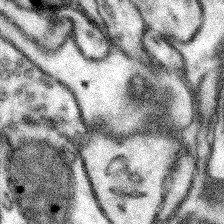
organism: Mouse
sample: Somatosensory cortex neuropil